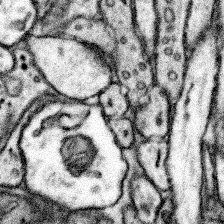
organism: Mouse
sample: Somatosensory cortex neuropil